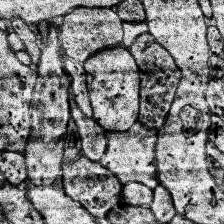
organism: Human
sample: Temporal Lobe